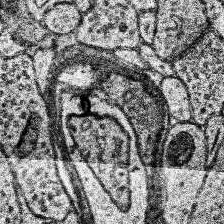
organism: Human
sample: Temporal Lobe